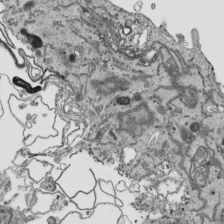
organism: Human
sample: Mitochondria in HCT116 cells